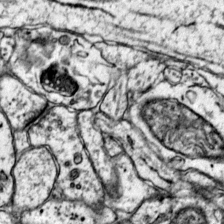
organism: Mouse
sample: Primary visual cortex